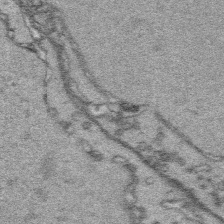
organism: Platynereis dumerilii